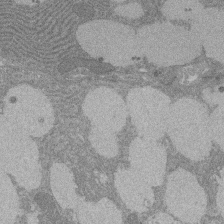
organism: Rat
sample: Salivary granule